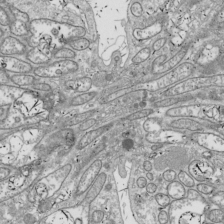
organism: Drosophila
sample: Cell division; meiosis; drosophila spermatocytes